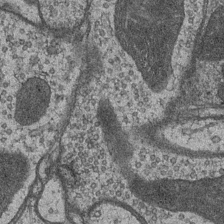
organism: Drosophila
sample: Optic medulla